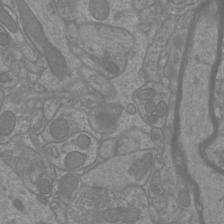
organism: Mouse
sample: Cortical neurons